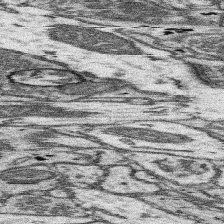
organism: Mouse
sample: Somatosensory cortex neuropil